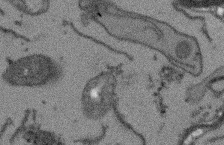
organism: Arabidopsis thaliana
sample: Root tip